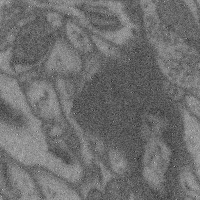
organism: Mouse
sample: Cerebral cortex